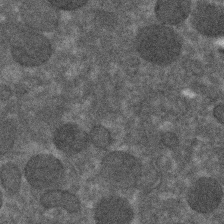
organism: C. elegans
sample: C. elegans embryo